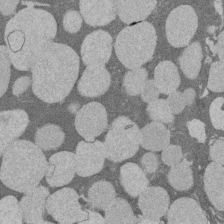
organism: Rat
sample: Salivary granule